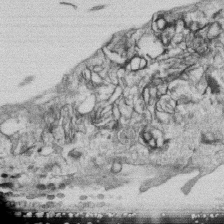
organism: Human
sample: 1205lu cells